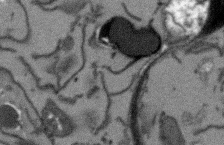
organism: Arabidopsis thaliana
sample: Root tip